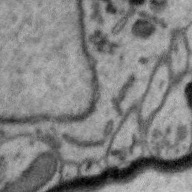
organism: Zebra finch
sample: Brain